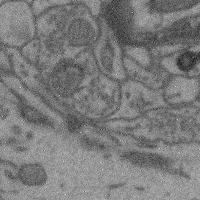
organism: Mouse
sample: Cerebral cortex